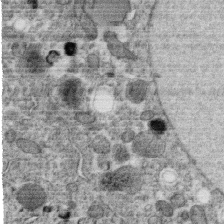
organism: C. elegans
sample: C. elegans oocyte; sperm cells